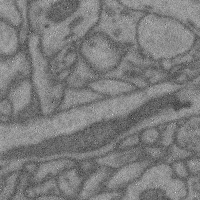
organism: Mouse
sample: Cerebral cortex